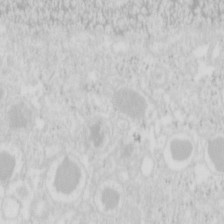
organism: Mouse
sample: Pancreas